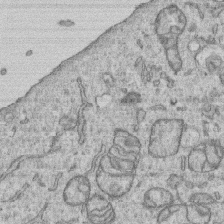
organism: Human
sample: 1205lu cells